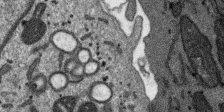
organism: Human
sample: Lung epithelial cells infected with SARS-CoV-2